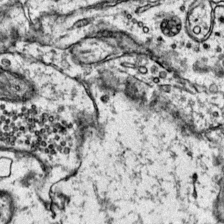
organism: Mouse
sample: Primary visual cortex